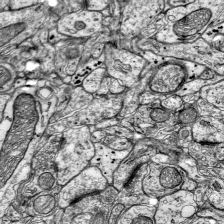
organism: Mouse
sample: Visual Cortex